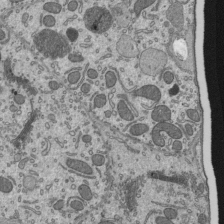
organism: Mouse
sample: Mouse epididymis efferent ductule cilia